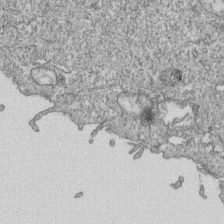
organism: Human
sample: HeLa cell HIV synapse